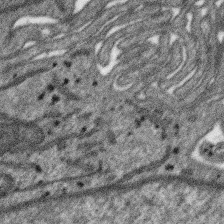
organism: Human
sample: Lung epithelial cells infected with SARS-CoV-2